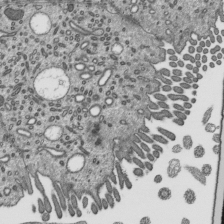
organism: Mouse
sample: Mouse epididymis efferent ductule cilia